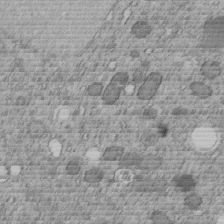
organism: C. elegans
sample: C. elegans embryo early stage